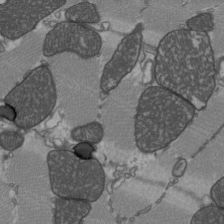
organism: C57BL Mouse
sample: Heart